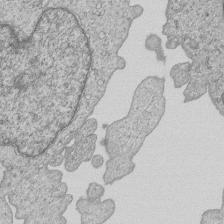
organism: Human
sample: MDA-MB-231 cells